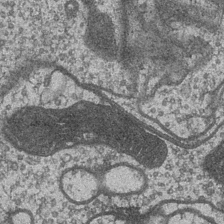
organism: Drosophila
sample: Optic medulla